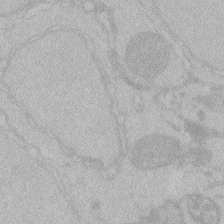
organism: Zebrafish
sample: Macrophage infected with Toxoplasma gondii